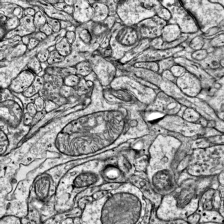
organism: Mouse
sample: Visual Cortex